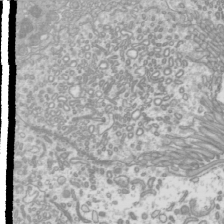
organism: Mouse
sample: Cilia; mouse epididymis